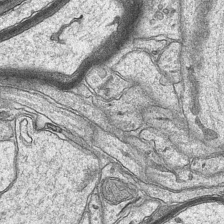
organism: Mouse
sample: CA1 Hippocampus